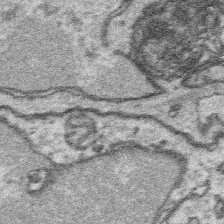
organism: Platynereis dumerilii